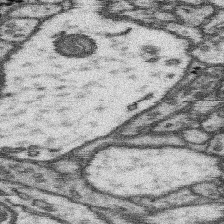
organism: Mouse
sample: Somatosensory cortex neuropil